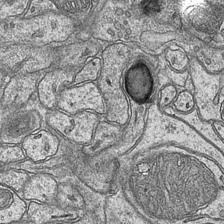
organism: Mouse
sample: CA1 Hippocampus